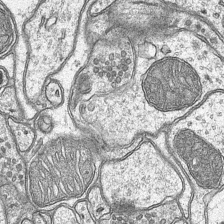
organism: Mouse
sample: CA1 Hippocampus